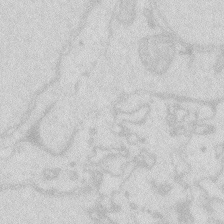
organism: Zebrafish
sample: Macrophage